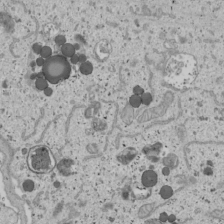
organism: Human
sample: Mitochondria in U2OS cells